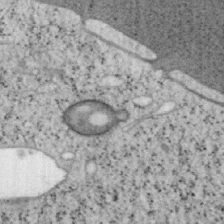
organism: Mouse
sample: OT-I killer T cells with ID8 ovarian cancer cells